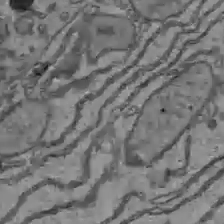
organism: C57BL Mouse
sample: Liver